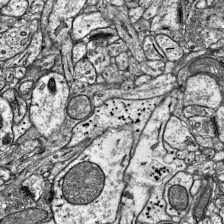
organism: Mouse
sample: Visual Cortex